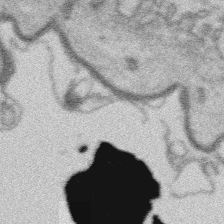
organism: Platynereis dumerilii